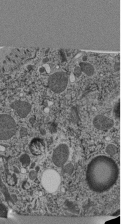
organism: C. elegans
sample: C. elegans pharynx